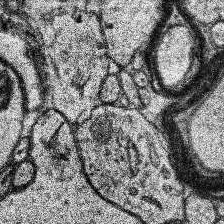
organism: Human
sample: Temporal Lobe